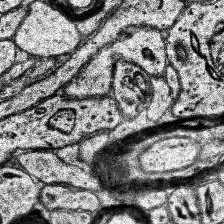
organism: Human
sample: Temporal Lobe